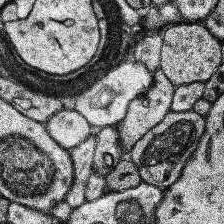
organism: Human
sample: Temporal Lobe